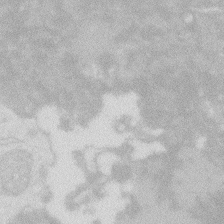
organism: Zebrafish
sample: Macrophage